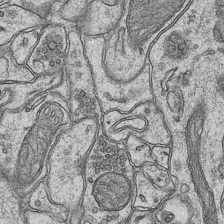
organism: Mouse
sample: CA1 Hippocampus